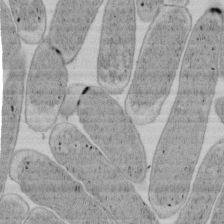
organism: E. coli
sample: Bacterial nucleoid